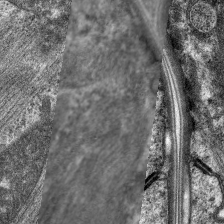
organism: C. elegans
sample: Pharynx